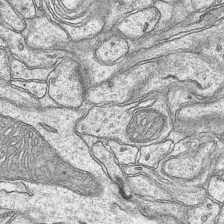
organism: Mouse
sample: CA1 Hippocampus